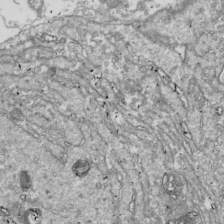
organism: Drosophila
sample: Cell division; meiosis; drosophila spermatocytes